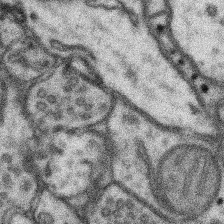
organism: Mouse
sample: Somatosensory cortex neuropil